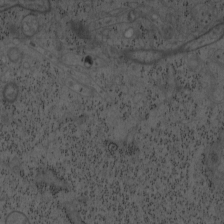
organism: Mouse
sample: OT-I killer T cells with ID8 ovarian cancer cells